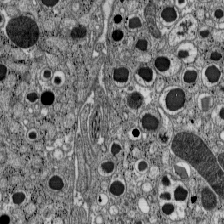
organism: C57BL Mouse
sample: Pancreatic islet